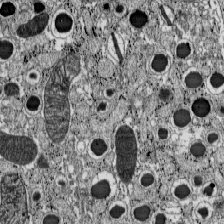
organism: C57BL Mouse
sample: Pancreatic islet